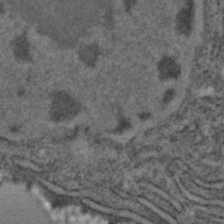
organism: C. elegans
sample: C. elegans embryo